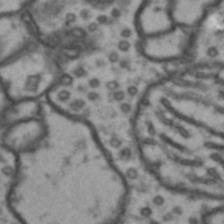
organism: Drosophila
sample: Brain